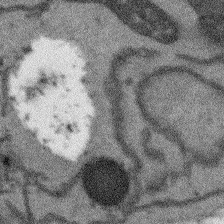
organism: Arabidopsis thaliana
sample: Root tip